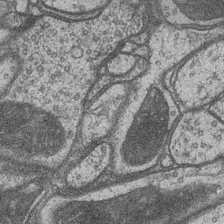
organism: Drosophila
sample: Optic medulla